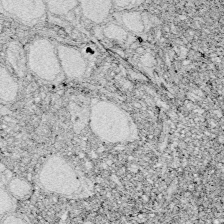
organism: Zebrafish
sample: Whole-Brain